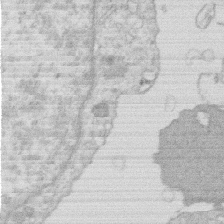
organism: Human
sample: Macrophage cells